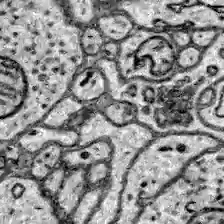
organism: Zebrafish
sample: Brain